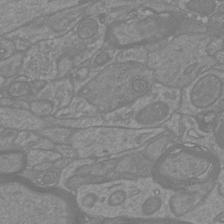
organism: Mouse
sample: Cortical neurons